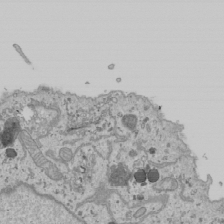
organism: Human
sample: Mitochondria in U2OS cells